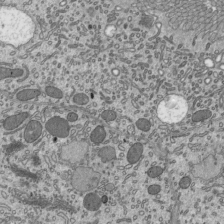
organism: Mouse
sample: Mouse epididymis efferent ductule cilia